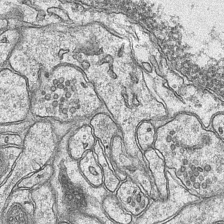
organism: Mouse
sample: CA1 Hippocampus